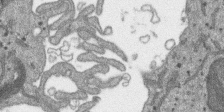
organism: Human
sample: Lung epithelial cells infected with SARS-CoV-2